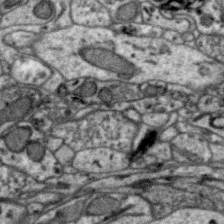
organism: Zebra finch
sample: Brain